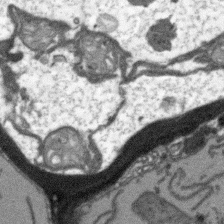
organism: Arabidopsis thaliana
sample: Root tip